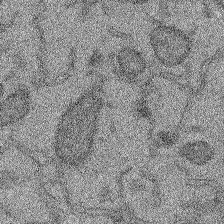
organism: Human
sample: HeLa cells